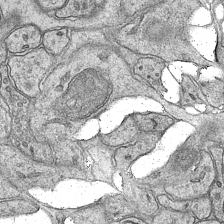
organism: Mouse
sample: CA1 Hippocampus